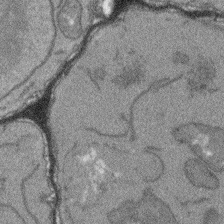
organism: Arabidopsis thaliana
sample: Root tip